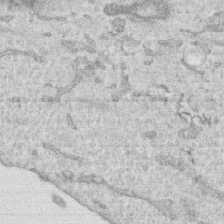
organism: Human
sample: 1205lu cells